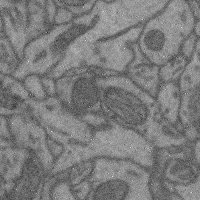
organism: Mouse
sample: Cerebral cortex